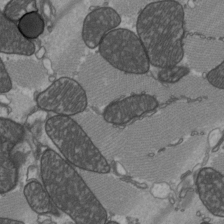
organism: C57BL Mouse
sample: Heart